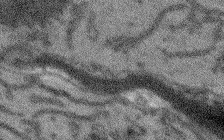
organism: Arabidopsis thaliana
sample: Root tip